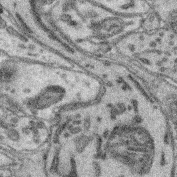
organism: Mouse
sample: Retina